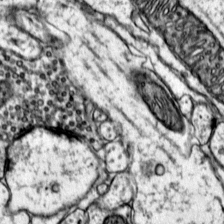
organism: Mouse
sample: Primary visual cortex